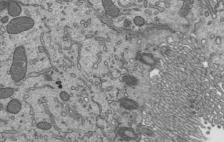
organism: Mouse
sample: Mouse epididymis efferent ductule cilia